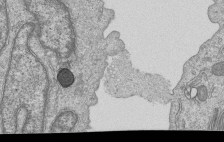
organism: Human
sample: MDA-MB-231 cells